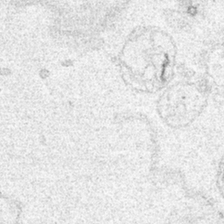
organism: Human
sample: Mitochondria in HCT116 cells